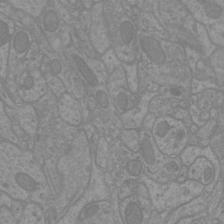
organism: Mouse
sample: Cortical neurons